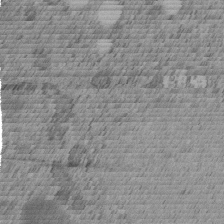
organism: C. elegans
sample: C. elegans embryo early stage